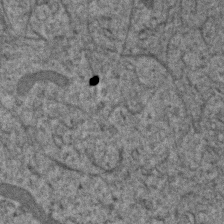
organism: Human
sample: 1205lu cells